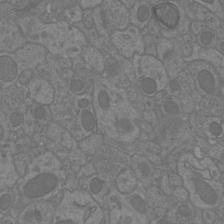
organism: Mouse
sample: Cortical neurons